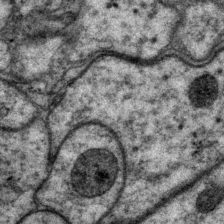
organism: P. pacificus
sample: Pharynx